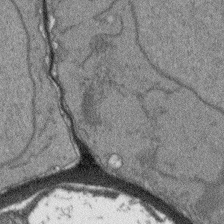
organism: Arabidopsis thaliana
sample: Root tip